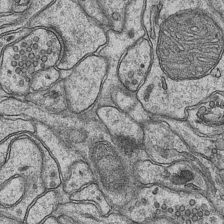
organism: Mouse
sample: CA1 Hippocampus